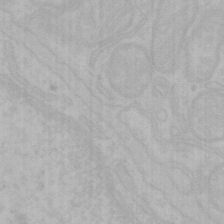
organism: Mouse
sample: Choroid plexus